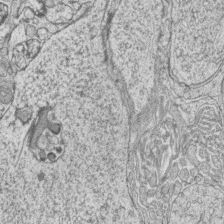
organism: Zebrafish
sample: synaptic ribbons in rod cells and cone cells